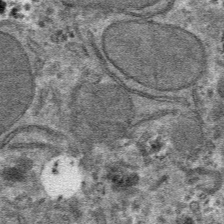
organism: Mouse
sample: Mouse hepatocytes